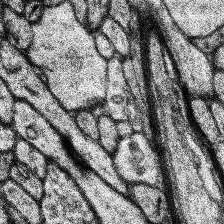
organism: Human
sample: Temporal Lobe